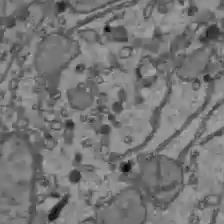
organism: C57BL Mouse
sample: Liver